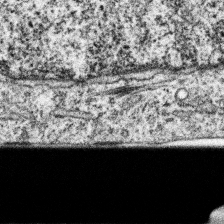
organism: Human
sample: HeLa cells